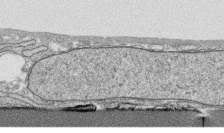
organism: Human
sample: CRL-1474